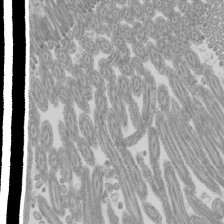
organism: Mouse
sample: Cilia; mouse epididymis